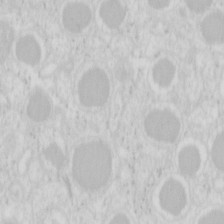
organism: Mouse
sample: Pancreas